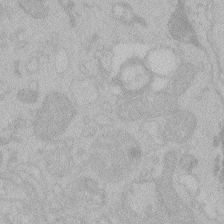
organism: Zebrafish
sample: Macrophage infected with Toxoplasma gondii